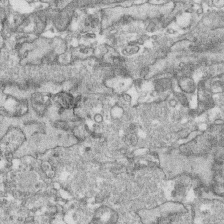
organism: Human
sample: CRL-1474